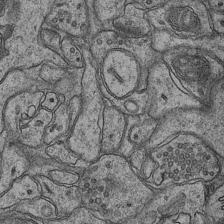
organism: Mouse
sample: CA1 Hippocampus